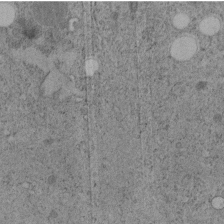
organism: C. elegans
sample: C. elegans embryo early stage